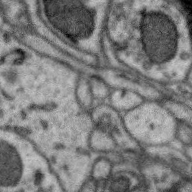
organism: Zebra finch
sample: Brain